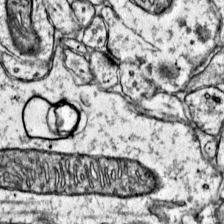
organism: Mouse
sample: Primary visual cortex